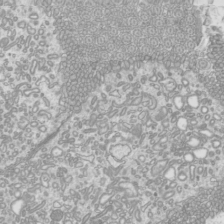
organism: Mouse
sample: Cilia; mouse epididymis